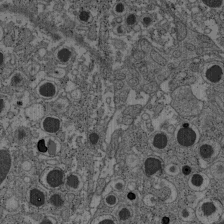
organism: C57BL Mouse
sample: Pancreatic islet